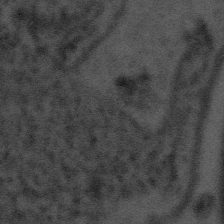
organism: Tuwongella immobilis